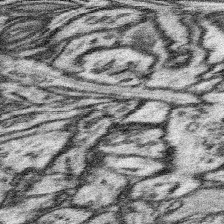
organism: Mouse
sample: Somatosensory cortex neuropil